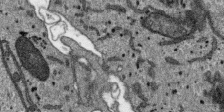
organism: Human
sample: Lung epithelial cells, uninfected (mock) control